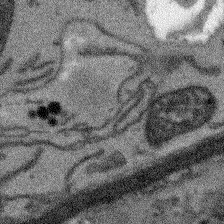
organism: Arabidopsis thaliana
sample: Root tip